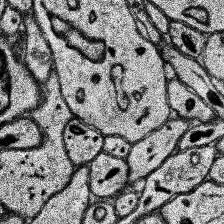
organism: Human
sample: Temporal Lobe